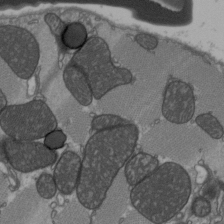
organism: C57BL Mouse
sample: Heart